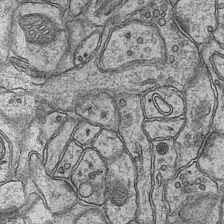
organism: Mouse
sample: CA1 Hippocampus